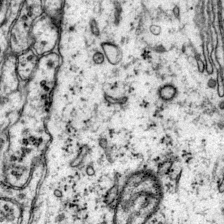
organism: Mouse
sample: Primary visual cortex